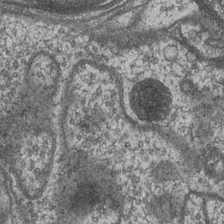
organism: Drosophila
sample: Optic medulla